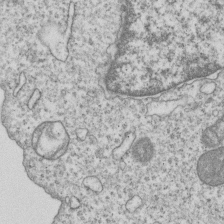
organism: Human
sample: MDA-MB-231 cells